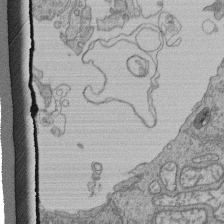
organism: Human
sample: Retinal organoid Rod and Cone cells